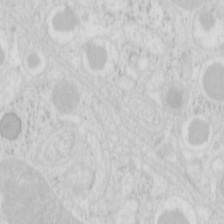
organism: Mouse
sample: Pancreas